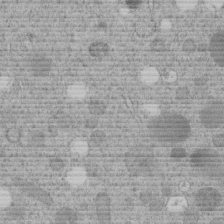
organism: C. elegans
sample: C. elegans embryo early stage